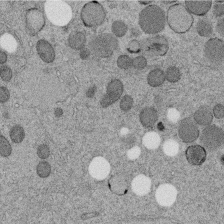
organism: C. elegans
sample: C. elegans embryo early stage